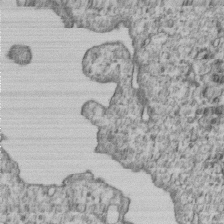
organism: Human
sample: MDA-MB-231 cells